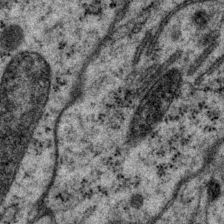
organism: P. pacificus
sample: Pharynx